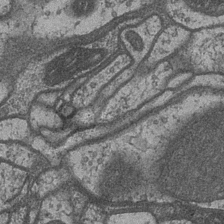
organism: Drosophila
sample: Optic medulla